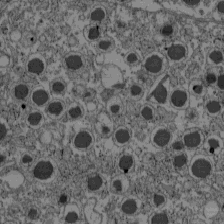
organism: C57BL Mouse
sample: Pancreatic islet